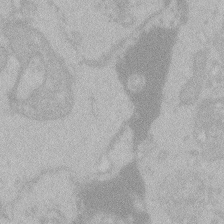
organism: Zebrafish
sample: Macrophage infected with Toxoplasma gondii